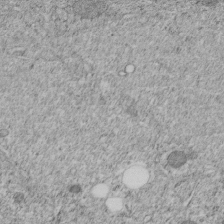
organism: C. elegans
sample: C. elegans embryo early stage